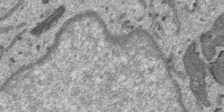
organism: Human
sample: Lung epithelial cells infected with SARS-CoV-2